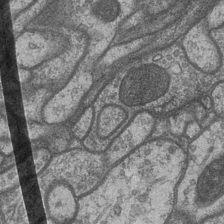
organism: Drosophila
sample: Optic medulla